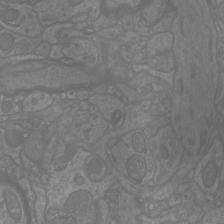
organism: Mouse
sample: Cortical neurons